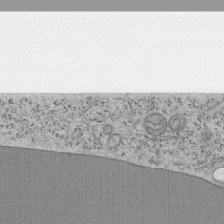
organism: Human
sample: HeLa cells